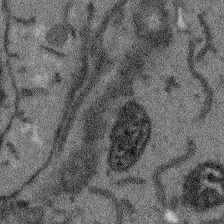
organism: Arabidopsis thaliana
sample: Root tip